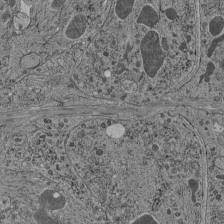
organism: C. elegans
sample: C. elegans pharynx